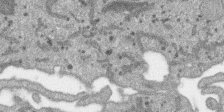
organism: Human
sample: Lung epithelial cells infected with SARS-CoV-2